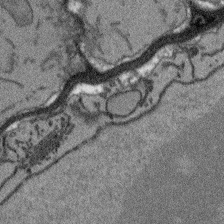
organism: Arabidopsis thaliana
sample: Root tip